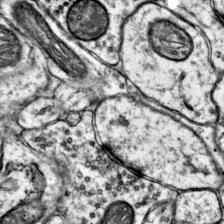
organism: Mouse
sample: Primary visual cortex